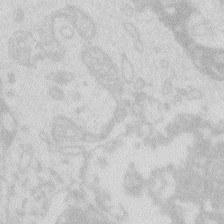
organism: Zebrafish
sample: Macrophage